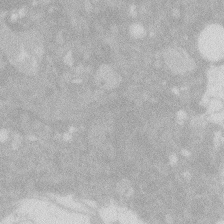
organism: Zebrafish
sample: Macrophage